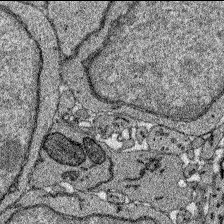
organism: Zebrafish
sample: Larval olfactory bulb